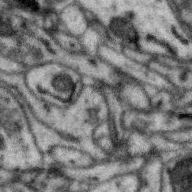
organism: Zebra finch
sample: Brain